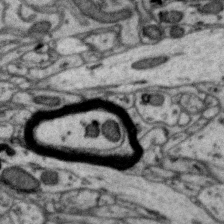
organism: Zebra finch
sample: Brain